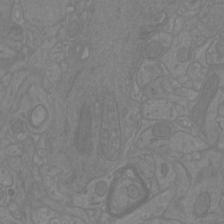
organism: Mouse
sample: Cortical neurons